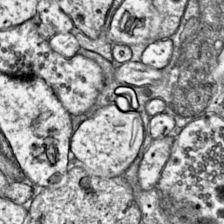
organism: Mouse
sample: Primary visual cortex